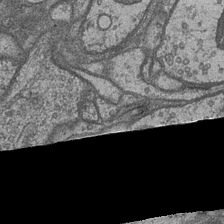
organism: Drosophila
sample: Optic medulla